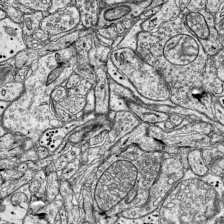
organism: Mouse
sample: Visual Cortex